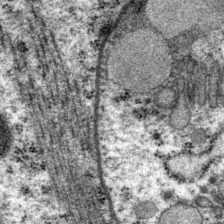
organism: P. pacificus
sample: Pharynx